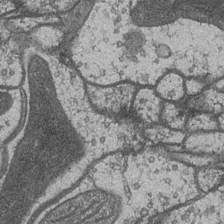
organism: Drosophila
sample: Optic medulla